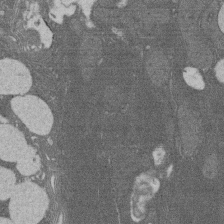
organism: Rat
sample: Salivary granule